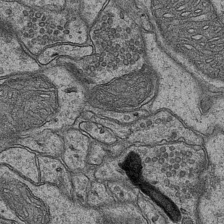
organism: Mouse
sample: CA1 Hippocampus